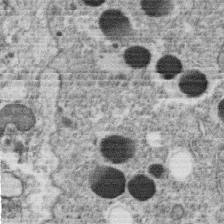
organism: C. elegans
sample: C. elegans oocyte; sperm cells